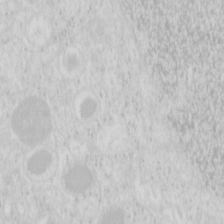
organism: Mouse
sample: Pancreas